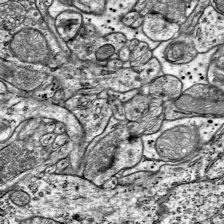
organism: Mouse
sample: Visual Cortex